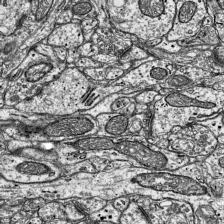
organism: Mouse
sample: Visual Cortex